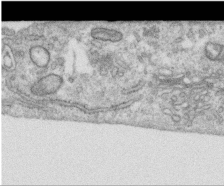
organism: Human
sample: Centriole in RPE cells